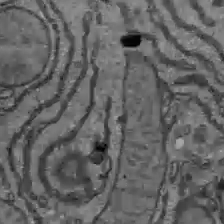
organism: C57BL Mouse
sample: Liver